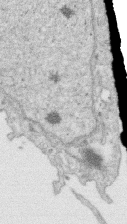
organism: Human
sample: HeLa cell HIV synapse